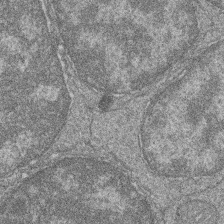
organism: Zebrafish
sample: Cilia; retinal pigment epithelium